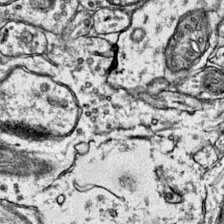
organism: Mouse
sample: Primary visual cortex